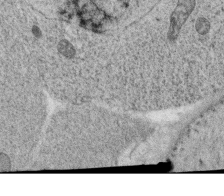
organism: C. elegans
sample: C. elegans oocyte; sperm cells